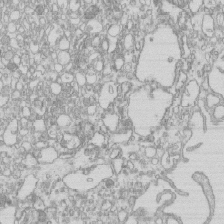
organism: Mouse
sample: Macrophages